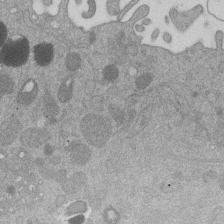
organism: Mouse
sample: Dividing mouse embryo 1 cell stage